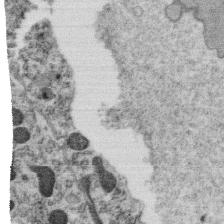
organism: C. elegans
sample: C. elegans oocyte; sperm cells